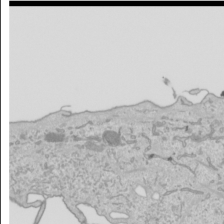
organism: Human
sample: Mitochondria in HCT116 cells